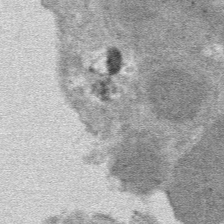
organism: Mouse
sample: Mouse hepatocytes